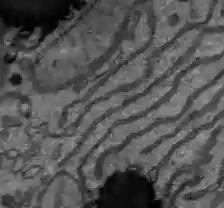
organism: C57BL Mouse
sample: Liver